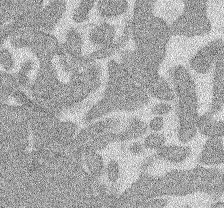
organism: Human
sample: HeLa cells